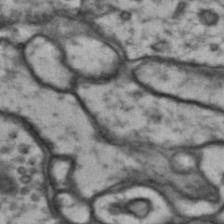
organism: Drosophila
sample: Brain